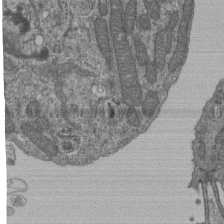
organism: Human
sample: Retinal organoid Rod and Cone cells